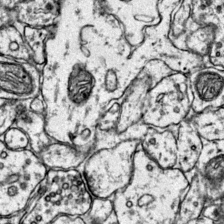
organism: Mouse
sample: Primary visual cortex